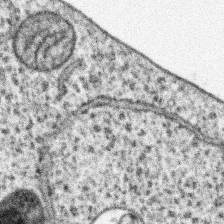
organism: Human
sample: HeLa cells